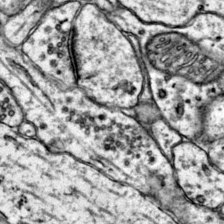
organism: Mouse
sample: Primary visual cortex